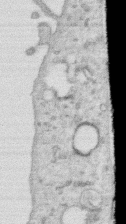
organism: Human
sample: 1205lu cells